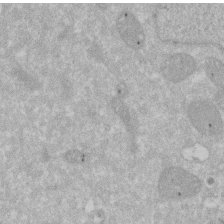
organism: Human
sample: HIV infected U937 cells